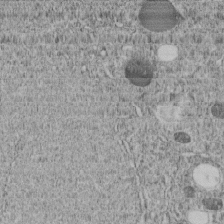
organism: C. elegans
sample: C. elegans embryo early stage